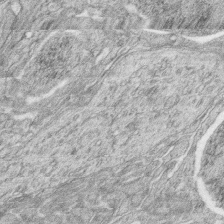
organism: Zebrafish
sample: synaptic ribbons in rod cells and cone cells